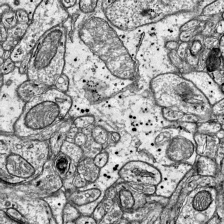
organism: Mouse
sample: Visual Cortex